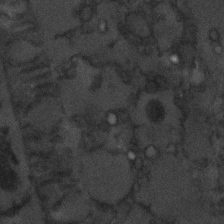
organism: C. elegans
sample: C. elegans embryo